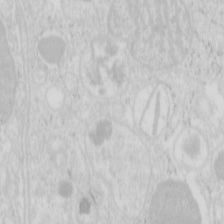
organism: Mouse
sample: Pancreas